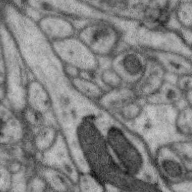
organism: Zebra finch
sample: Brain